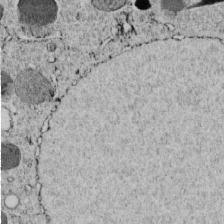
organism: C. elegans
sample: C. elegans embryo early stage